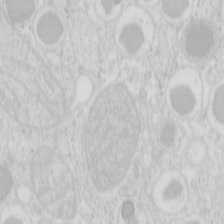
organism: Mouse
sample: Pancreas